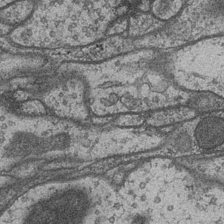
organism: Drosophila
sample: Optic medulla